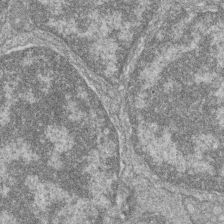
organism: Zebrafish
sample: Cilia; retinal pigment epithelium